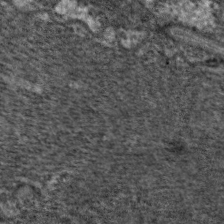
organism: C. elegans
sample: Pharynx